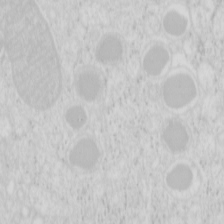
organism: Mouse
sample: Pancreas